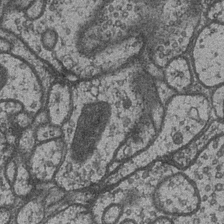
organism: Drosophila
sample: Optic medulla